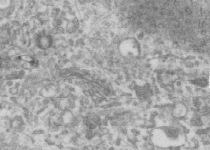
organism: Human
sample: Centriole in RPE cells